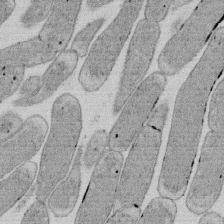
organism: E. coli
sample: Bacterial nucleoid